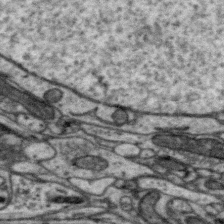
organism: Zebra finch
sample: Brain